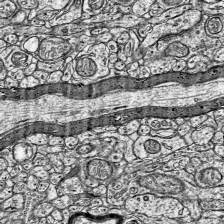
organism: Mouse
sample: Visual Cortex